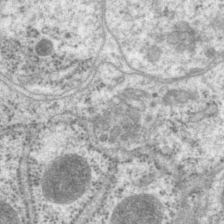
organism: P. pacificus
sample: Pharynx